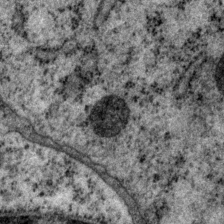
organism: P. pacificus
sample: Pharynx